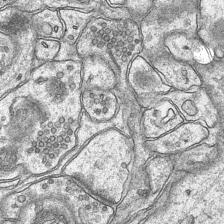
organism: Mouse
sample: CA1 Hippocampus